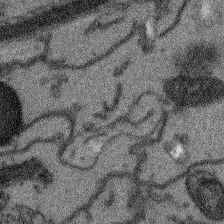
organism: Arabidopsis thaliana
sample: Root tip